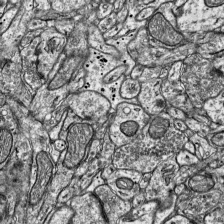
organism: Mouse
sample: Visual Cortex